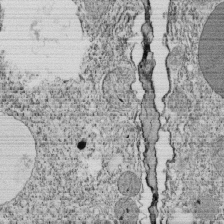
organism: Tetrahymena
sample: Cilia in tetrahymena